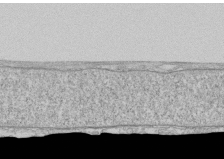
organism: Human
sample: CRL-1474